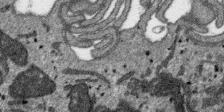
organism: Human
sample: Lung epithelial cells, uninfected (mock) control